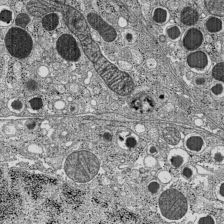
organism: C57BL Mouse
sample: Pancreatic islet